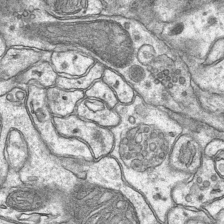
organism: Mouse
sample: CA1 Hippocampus